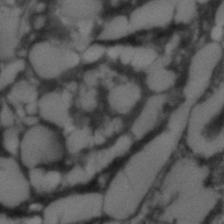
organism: C. elegans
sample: C. elegans embryo